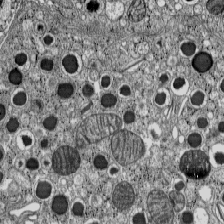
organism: C57BL Mouse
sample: Pancreatic islet